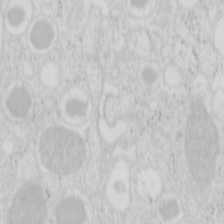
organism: Mouse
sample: Pancreas